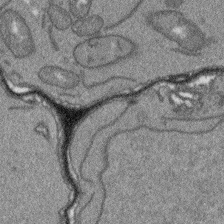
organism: Arabidopsis thaliana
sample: Root tip